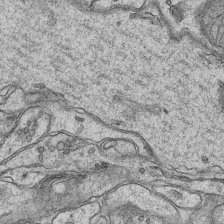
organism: Mouse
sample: CA1 Hippocampus